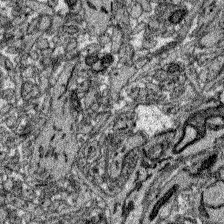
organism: Zebrafish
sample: Larval olfactory bulb